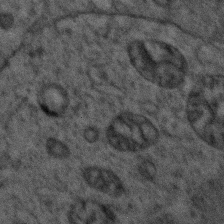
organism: Zebrafish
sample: Zebrafish embryo